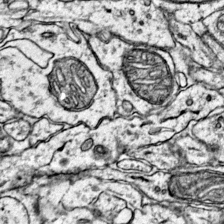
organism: Mouse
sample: Primary visual cortex